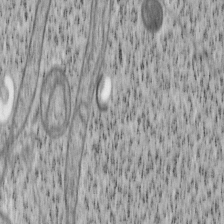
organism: Human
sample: HeLa cells